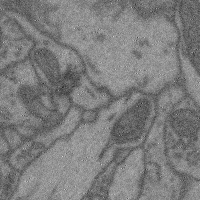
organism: Mouse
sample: Cerebral cortex